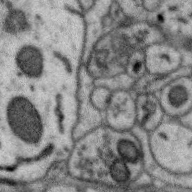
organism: Zebra finch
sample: Brain